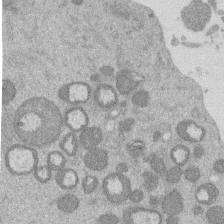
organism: Mouse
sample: Dividing mouse embryo 1 cell stage